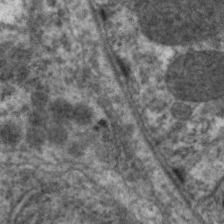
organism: C. elegans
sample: Pharynx